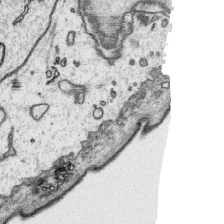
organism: Platynereis dumerilii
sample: Parapodia